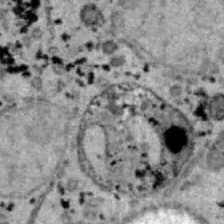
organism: Mouse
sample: Liver from an obese (ob/ob) mouse